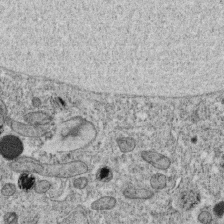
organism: C. elegans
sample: C. elegans oocyte; sperm cells